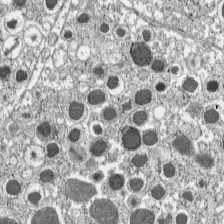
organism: C57BL Mouse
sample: Pancreatic islet